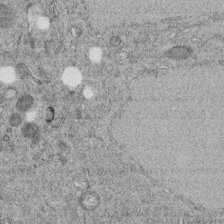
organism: C. elegans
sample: C. elegans embryo early stage